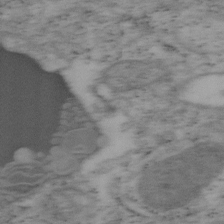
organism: Mouse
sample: OT-I killer T cells with ID8 ovarian cancer cells